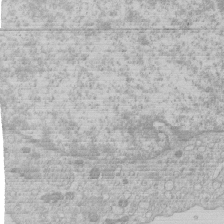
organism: Human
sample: Macrophage cells